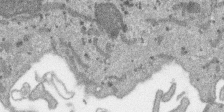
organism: Human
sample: Lung epithelial cells infected with SARS-CoV-2